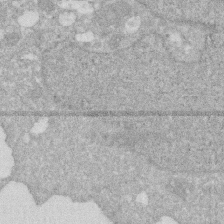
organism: Human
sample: HIV infected U937 cells